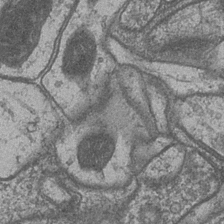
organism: Drosophila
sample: Optic medulla